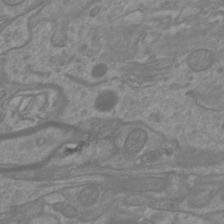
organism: Mouse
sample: Cortical neurons